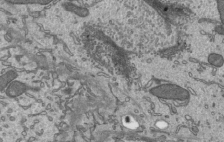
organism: Mouse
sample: Mouse epididymis efferent ductule cilia